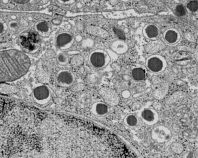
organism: C57BL Mouse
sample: Pancreatic islet